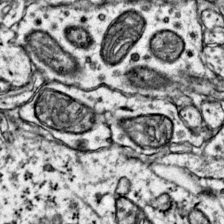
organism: Mouse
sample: Primary visual cortex